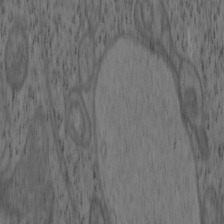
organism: Human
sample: HeLa cells